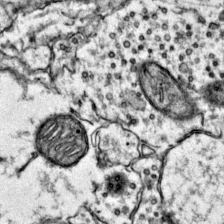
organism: Mouse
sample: Primary visual cortex